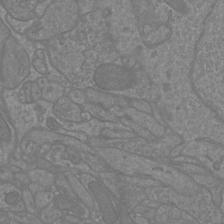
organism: Mouse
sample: Cortical neurons